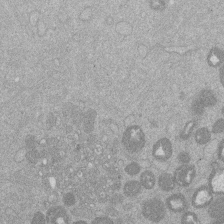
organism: Mouse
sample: Dividing mouse embryo 1 cell stage